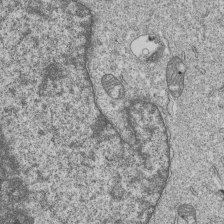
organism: Human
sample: MDA-MB-231 cells